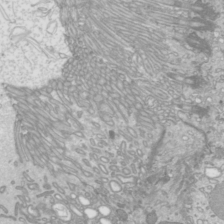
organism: Mouse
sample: Cilia; mouse epididymis